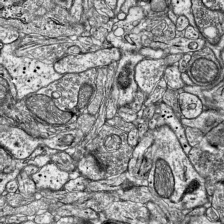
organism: Mouse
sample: Visual Cortex